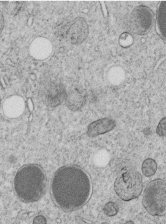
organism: C. elegans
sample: C. elegans embryo early stage